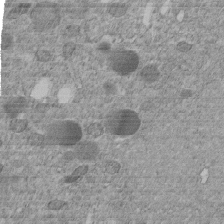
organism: C. elegans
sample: C. elegans embryo early stage